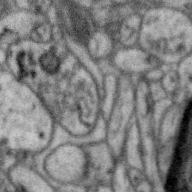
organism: Zebra finch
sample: Brain